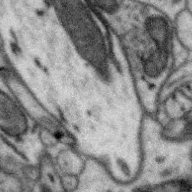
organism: Zebra finch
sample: Brain